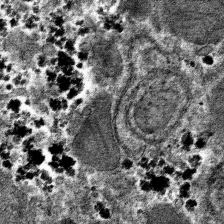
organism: Mouse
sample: Mouse hepatocytes